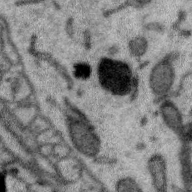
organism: Zebra finch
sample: Brain